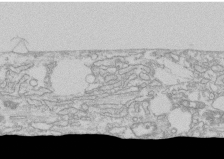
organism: Human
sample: CRL-1474